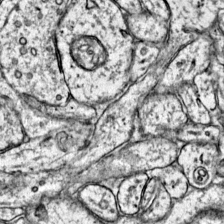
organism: Mouse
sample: Primary visual cortex